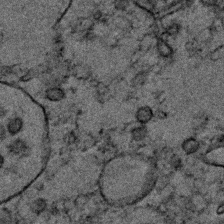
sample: Trachea